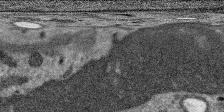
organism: Human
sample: Lung epithelial cells infected with SARS-CoV-2